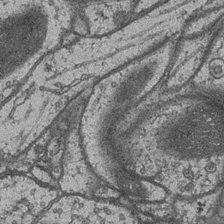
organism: Drosophila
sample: Optic medulla